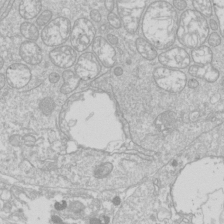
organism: Drosophila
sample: Cell division; meiosis; drosophila spermatocytes